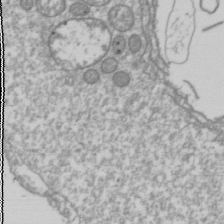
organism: Drosophila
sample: Cell division; meiosis; drosophila spermatocytes